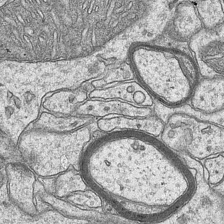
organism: Mouse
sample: CA1 Hippocampus